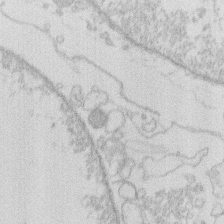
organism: Human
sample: Macrophage cells